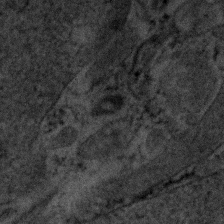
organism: Human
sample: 1205lu cells